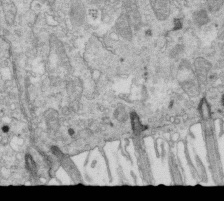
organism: Mouse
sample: Multiciliated cells